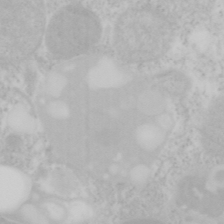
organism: Mouse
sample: OT-I killer T cells with ID8 ovarian cancer cells